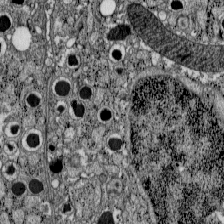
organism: C57BL Mouse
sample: Pancreatic islet